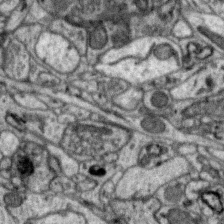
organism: Zebra finch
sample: Brain